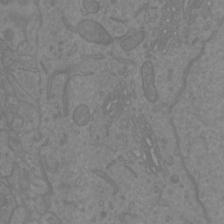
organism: Mouse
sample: Cortical neurons